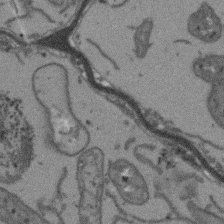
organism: Arabidopsis thaliana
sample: Root tip